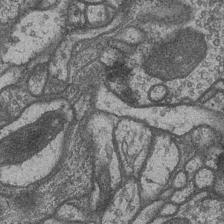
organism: Drosophila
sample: Optic medulla